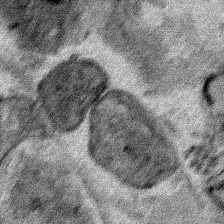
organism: Human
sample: Mitochondria in HCT116 cells